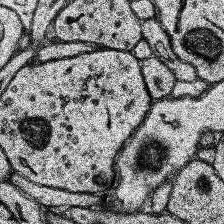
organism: Human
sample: Temporal Lobe